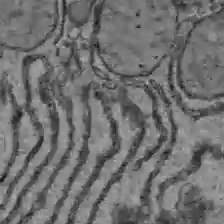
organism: C57BL Mouse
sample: Liver